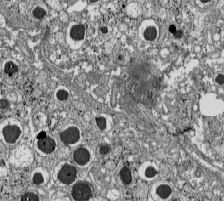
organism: C57BL Mouse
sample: Pancreatic islet